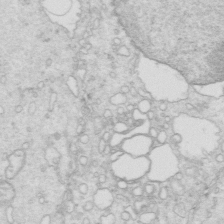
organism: Mouse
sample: Multiciliated cells